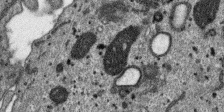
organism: Human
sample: Lung epithelial cells infected with SARS-CoV-2